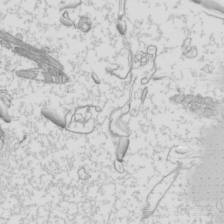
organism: Mouse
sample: Cilia; mouse epididymis